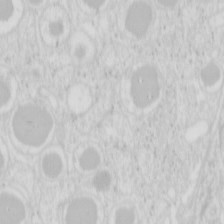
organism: Mouse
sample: Pancreas